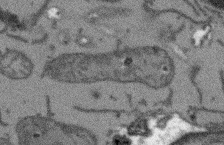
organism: Arabidopsis thaliana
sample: Root tip